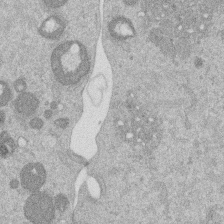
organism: Mouse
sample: Dividing mouse embryo 1 cell stage